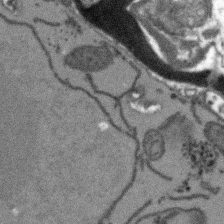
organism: Arabidopsis thaliana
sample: Root tip